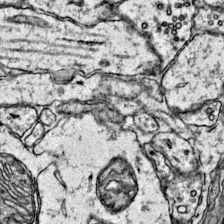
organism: Mouse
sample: Primary visual cortex